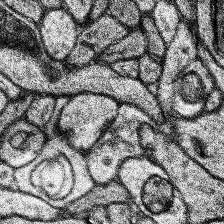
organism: Human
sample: Temporal Lobe